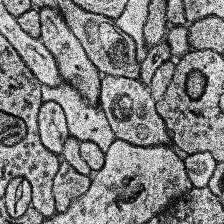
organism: Human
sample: Temporal Lobe